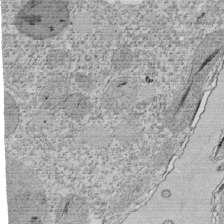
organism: Tetrahymena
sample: Cilia in tetrahymena